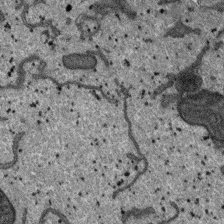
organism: Human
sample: Lung epithelial cells, uninfected (mock) control